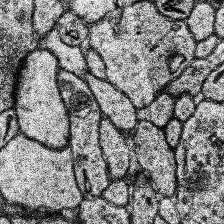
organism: Human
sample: Temporal Lobe